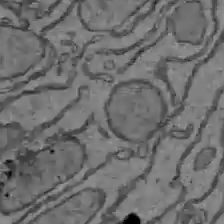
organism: C57BL Mouse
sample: Liver